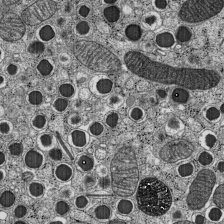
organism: C57BL Mouse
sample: Pancreatic islet